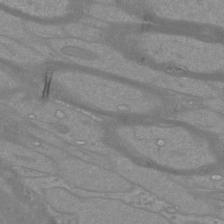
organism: Mouse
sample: Cortical neurons